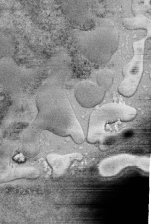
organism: Human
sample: Retinal organoid Rod and Cone cells